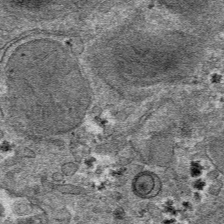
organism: Mouse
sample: Mouse hepatocytes